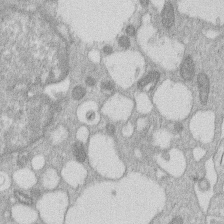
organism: Human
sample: Macrophage cells